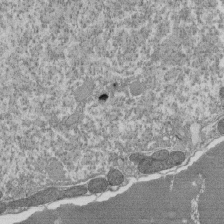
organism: Tetrahymena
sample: Cilia in tetrahymena